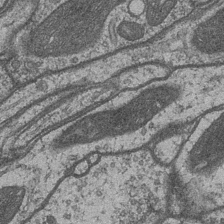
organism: Drosophila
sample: Optic medulla